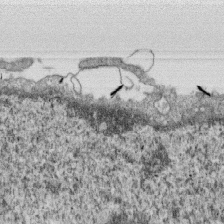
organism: African green monkey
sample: Vero E6 cells infected with SARS-CoV-2